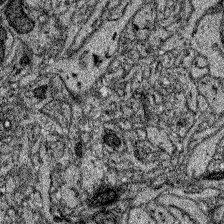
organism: Zebrafish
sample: Larval olfactory bulb